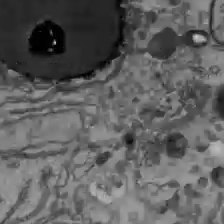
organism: C57BL Mouse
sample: Liver